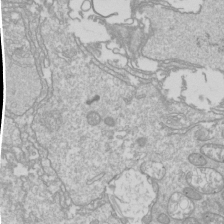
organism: Drosophila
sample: Cell division; meiosis; drosophila spermatocytes